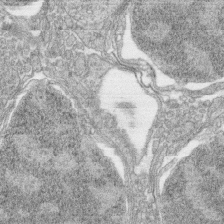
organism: Zebrafish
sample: synaptic ribbons in rod cells and cone cells